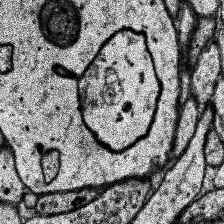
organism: Human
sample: Temporal Lobe